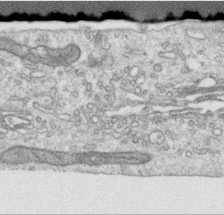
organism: Human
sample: Centriole in RPE cells